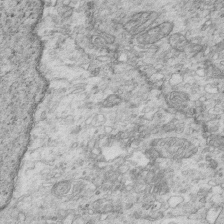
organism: Mouse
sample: Multiciliated cells